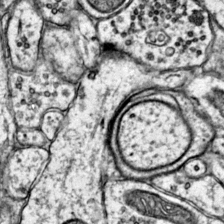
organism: Mouse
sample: Primary visual cortex